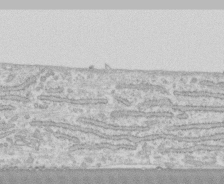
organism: Human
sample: CRL-1474